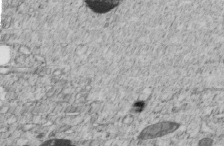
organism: C. elegans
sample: C. elegans embryo early stage